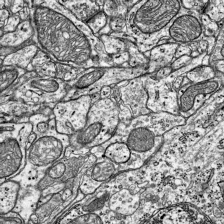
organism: Mouse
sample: Visual Cortex